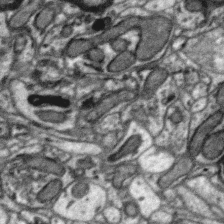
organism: Zebra finch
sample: Brain